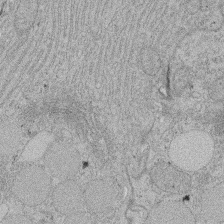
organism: Rat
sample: Salivary granule